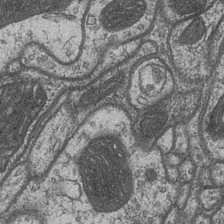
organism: Drosophila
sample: Optic medulla